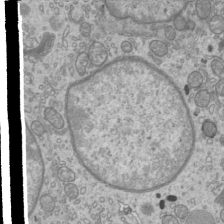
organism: Mouse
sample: Cilia; mouse epididymis